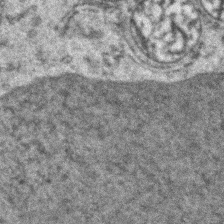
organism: Zebrafish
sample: Zebrafish embryo